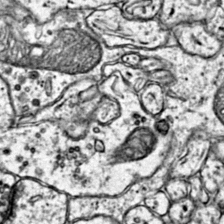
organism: Mouse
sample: Primary visual cortex